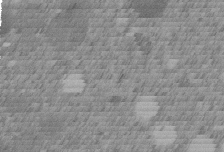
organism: C. elegans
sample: C. elegans embryo early stage